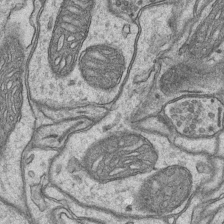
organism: Mouse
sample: CA1 Hippocampus